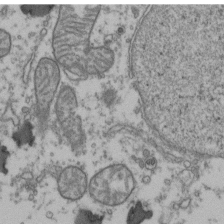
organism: Human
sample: Activated Jurkat CD4+ T cells